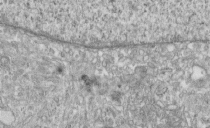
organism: Human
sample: Centriole in fibroblast cells